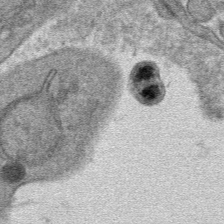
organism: Mouse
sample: Mouse hepatocytes